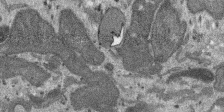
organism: Human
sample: Lung epithelial cells infected with SARS-CoV-2